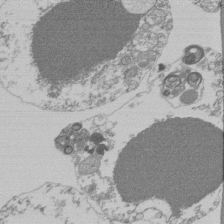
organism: Mouse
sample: Activated Pmel transgenic CD8+ T Cells